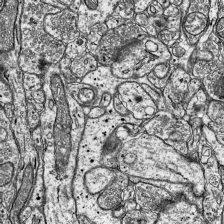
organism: Mouse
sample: Visual Cortex